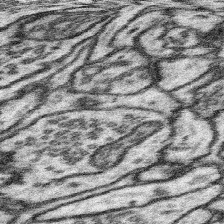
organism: Mouse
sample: Somatosensory cortex neuropil